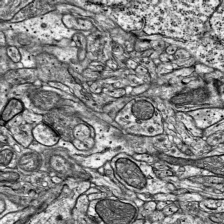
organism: Mouse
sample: Visual Cortex